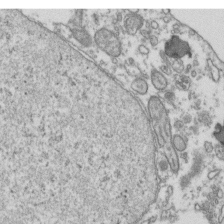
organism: Human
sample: Activated Jurkat CD4+ T cells